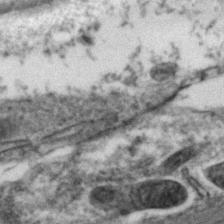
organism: Zebrafish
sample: Zebrafish embryo